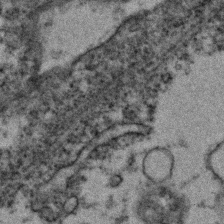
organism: Zebrafish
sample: Zebrafish embryo